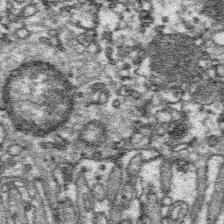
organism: Platynereis dumerilii